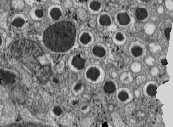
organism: C57BL Mouse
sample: Pancreatic islet